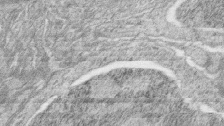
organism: Zebrafish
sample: synaptic ribbons in rod cells and cone cells